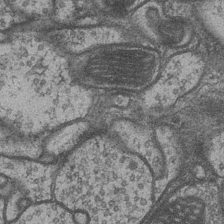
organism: Drosophila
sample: Optic medulla